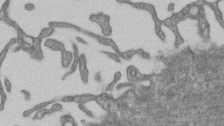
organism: Mouse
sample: Centriole in ependymal cells